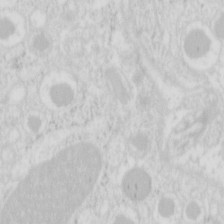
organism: Mouse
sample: Pancreas